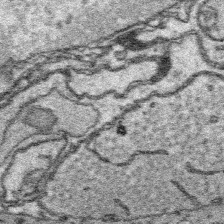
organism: Platynereis dumerilii